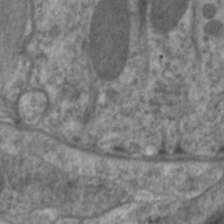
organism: C. elegans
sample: Pharynx